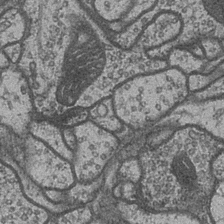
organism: Drosophila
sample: Optic medulla